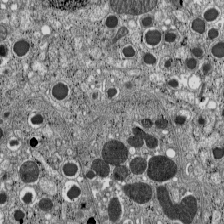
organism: C57BL Mouse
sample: Pancreatic islet